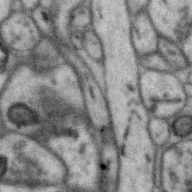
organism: Zebra finch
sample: Brain